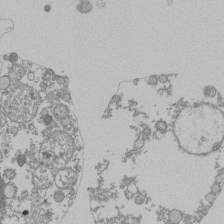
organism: Mouse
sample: Activated Pmel transgenic CD8+ T Cells